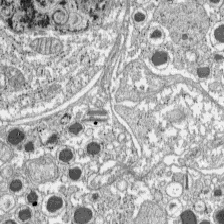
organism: C57BL Mouse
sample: Pancreatic islet